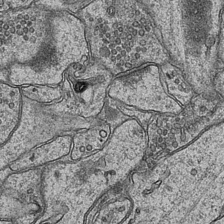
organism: Mouse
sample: CA1 Hippocampus